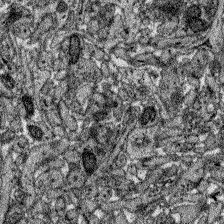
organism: Zebrafish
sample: Larval olfactory bulb